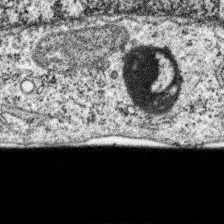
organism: Human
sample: HeLa cells